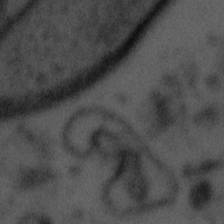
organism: Tuwongella immobilis